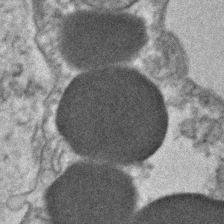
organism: Human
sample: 1205lu cells